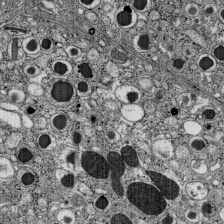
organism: C57BL Mouse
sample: Pancreatic islet